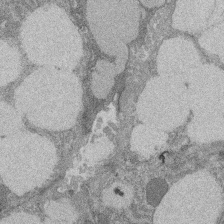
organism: Rat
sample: Salivary granule